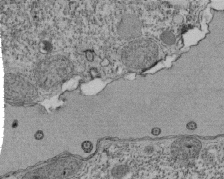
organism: Tetrahymena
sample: Cilia in tetrahymena